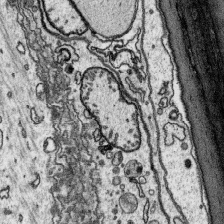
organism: Platynereis dumerilii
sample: Parapodia